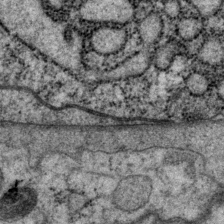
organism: P. pacificus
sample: Pharynx